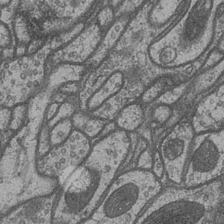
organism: Drosophila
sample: Optic medulla